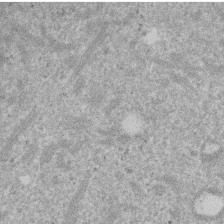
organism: Mouse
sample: Dividing mouse embryo 1 cell stage